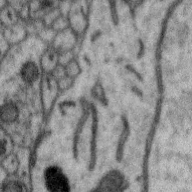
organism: Zebra finch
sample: Brain